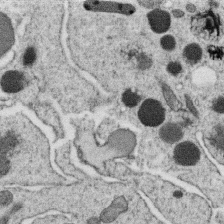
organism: C. elegans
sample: C. elegans oocyte; sperm cells